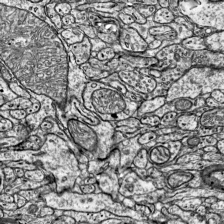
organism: Mouse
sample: Visual Cortex